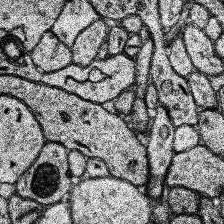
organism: Human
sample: Temporal Lobe